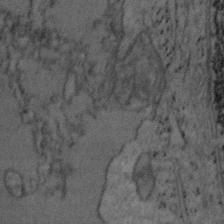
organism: Human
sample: HeLa cells